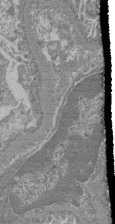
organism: Mouse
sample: Glomerulus